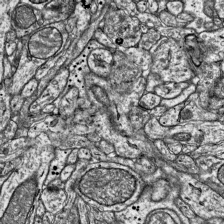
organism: Mouse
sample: Visual Cortex